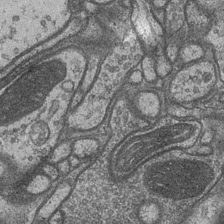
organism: Drosophila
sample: Optic medulla